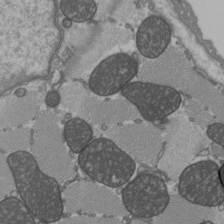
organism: C57BL Mouse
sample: Heart